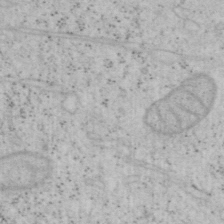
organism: Human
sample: HeLa cells